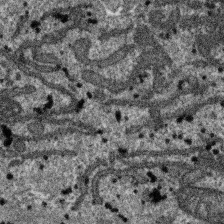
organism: Human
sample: Lung epithelial cells infected with SARS-CoV-2